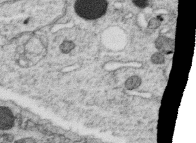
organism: C. elegans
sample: C. elegans oocyte; sperm cells